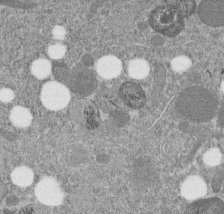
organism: C. elegans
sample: C. elegans embryo early stage